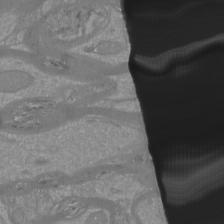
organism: Mouse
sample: Cortical neurons